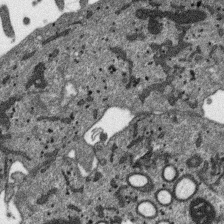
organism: Human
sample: Lung epithelial cells infected with SARS-CoV-2